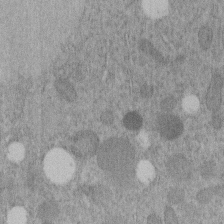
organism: C. elegans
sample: C. elegans embryo early stage